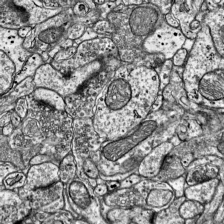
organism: Mouse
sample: Visual Cortex